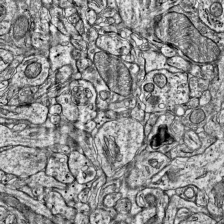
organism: Mouse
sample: Visual Cortex